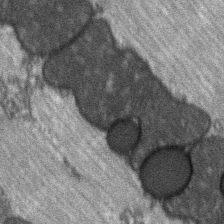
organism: C57BL Mouse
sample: Soleus